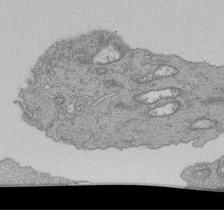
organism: Human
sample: Retinal organoid Rod and Cone cells